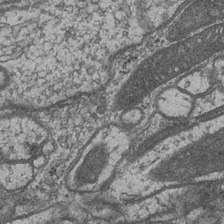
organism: Drosophila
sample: Optic medulla